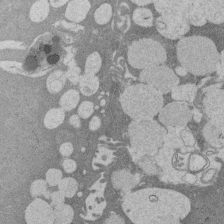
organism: Rat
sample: Salivary granule